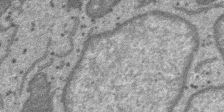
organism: Human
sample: Lung epithelial cells infected with SARS-CoV-2